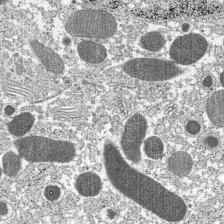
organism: C57BL Mouse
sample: Pancreatic islet